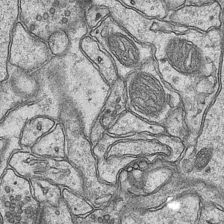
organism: Mouse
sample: CA1 Hippocampus